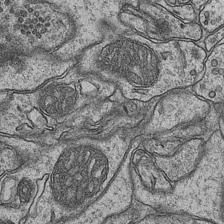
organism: Mouse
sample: CA1 Hippocampus